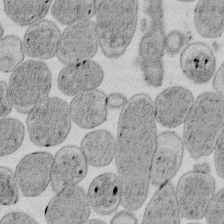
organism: E. coli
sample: Bacterial nucleoid